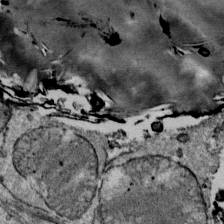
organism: Mouse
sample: Mouse Salivary gland